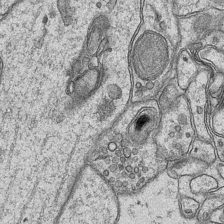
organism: Mouse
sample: CA1 Hippocampus